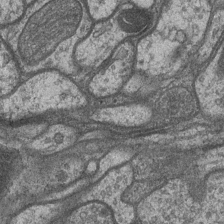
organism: Drosophila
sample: Optic medulla